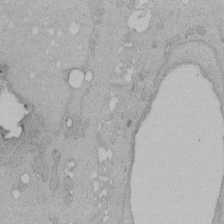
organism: Human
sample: Melanocyte Keratinocyte synapse skin construct